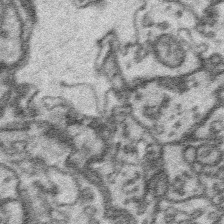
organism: Platynereis dumerilii